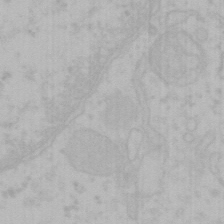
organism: Mouse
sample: Choroid plexus